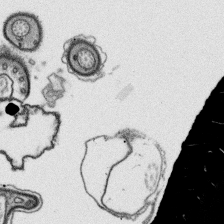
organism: Platynereis dumerilii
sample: Parapodia